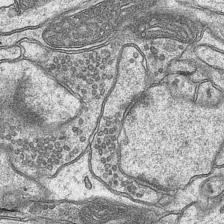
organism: Mouse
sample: CA1 Hippocampus